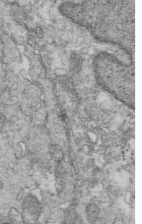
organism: Mouse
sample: Multiciliated cells